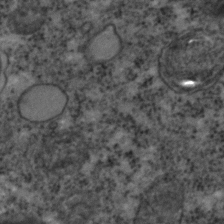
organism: C. elegans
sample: C. elegans embryo